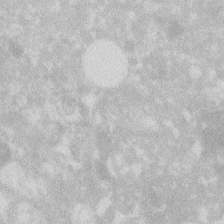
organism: Zebrafish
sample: Macrophage